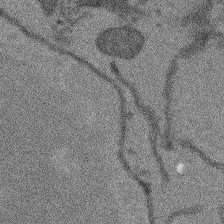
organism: Arabidopsis thaliana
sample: Root tip